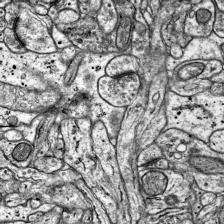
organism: Mouse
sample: Visual Cortex